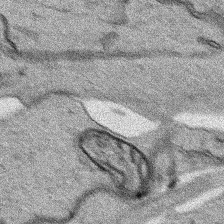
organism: Human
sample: Mitochondria in HCT116 cells